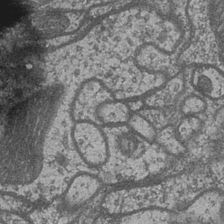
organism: Drosophila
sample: Optic medulla